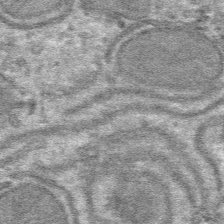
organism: Mouse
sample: Mouse hepatocytes